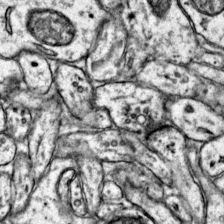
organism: Mouse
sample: Primary visual cortex